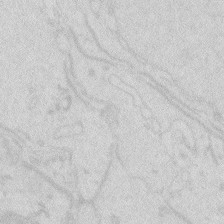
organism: Zebrafish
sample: Macrophage